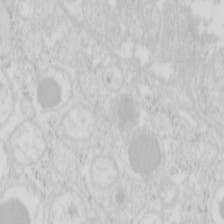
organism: Mouse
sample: Pancreas